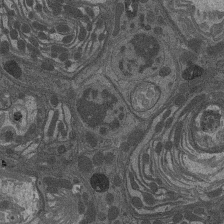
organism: Drosophila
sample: Antenna